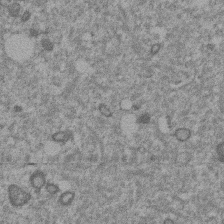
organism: Mouse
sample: Dividing mouse embryo 1 cell stage